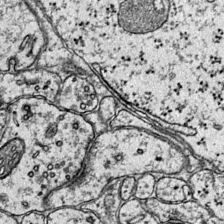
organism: Mouse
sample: Primary visual cortex